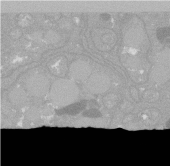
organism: C. elegans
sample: C. elegans oocyte; sperm cells